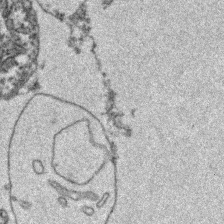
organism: Zebrafish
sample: Zebrafish embryo